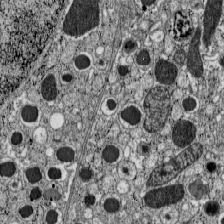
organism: C57BL Mouse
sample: Pancreatic islet